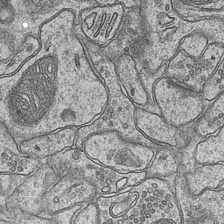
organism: Mouse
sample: CA1 Hippocampus